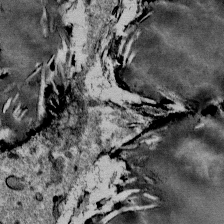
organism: Mouse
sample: Mouse Salivary gland